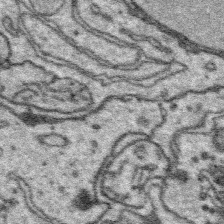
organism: Platynereis dumerilii